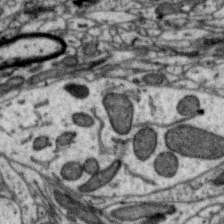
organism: Zebra finch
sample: Brain